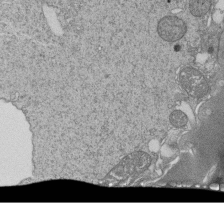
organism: Tetrahymena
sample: Cilia in tetrahymena